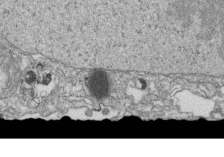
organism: Human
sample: HeLa cell HIV synapse